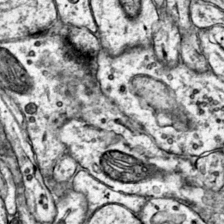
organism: Mouse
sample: Primary visual cortex